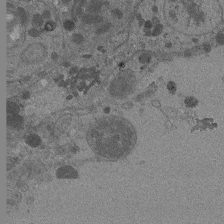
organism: Drosophila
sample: Antenna